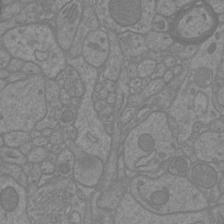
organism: Mouse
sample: Cortical neurons